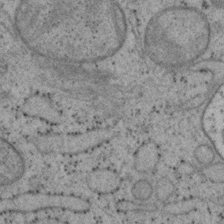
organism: Human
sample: HeLa cells